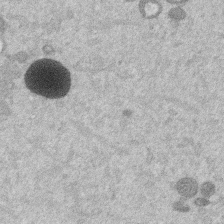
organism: Mouse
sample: Dividing mouse embryo 1 cell stage